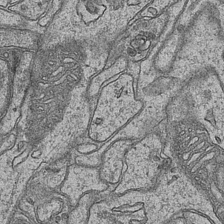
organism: Mouse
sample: CA1 Hippocampus